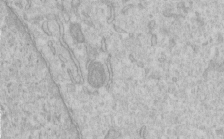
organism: Human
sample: Centriole in RPE cells